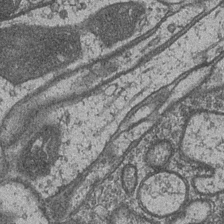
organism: Drosophila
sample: Optic medulla